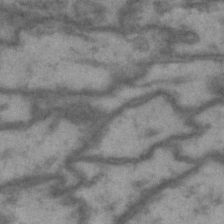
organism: Drosophila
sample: Brain